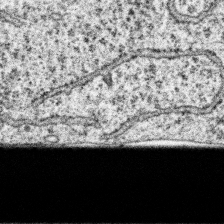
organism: Human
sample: HeLa cells